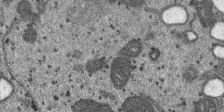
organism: Human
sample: Lung epithelial cells infected with SARS-CoV-2